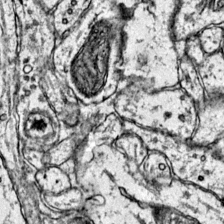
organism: Mouse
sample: Primary visual cortex